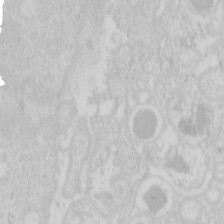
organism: Mouse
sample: Pancreas